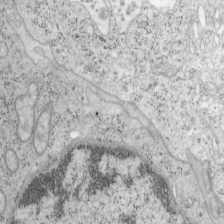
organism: Mouse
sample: OT-I killer T cells with ID8 ovarian cancer cells